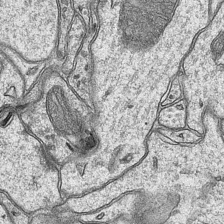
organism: Mouse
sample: CA1 Hippocampus